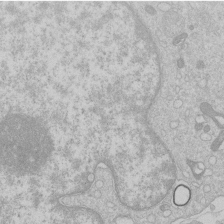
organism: Human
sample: Macrophage cells